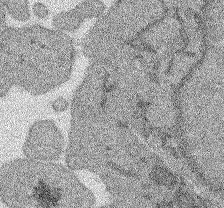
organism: Human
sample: HeLa cells